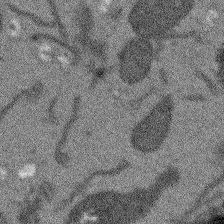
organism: Arabidopsis thaliana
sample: Root tip